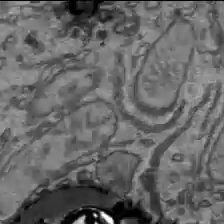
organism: C57BL Mouse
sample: Liver